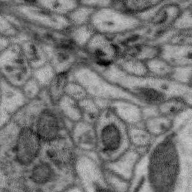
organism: Zebra finch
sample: Brain